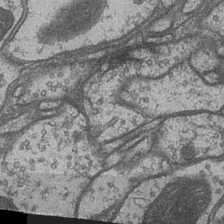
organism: Drosophila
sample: Optic medulla